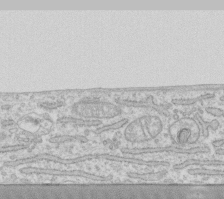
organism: Human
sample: Fibroblast cells